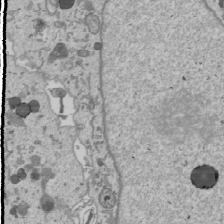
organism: Human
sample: Mitochondria in U2OS cells